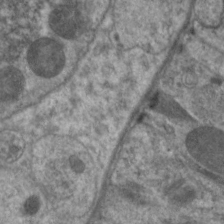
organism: C. elegans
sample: Pharynx